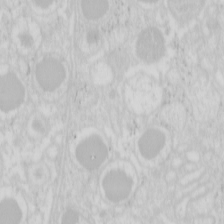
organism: Mouse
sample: Pancreas